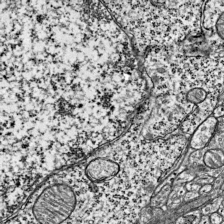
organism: Mouse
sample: Visual Cortex